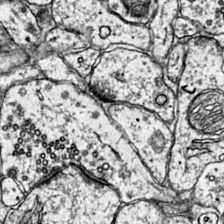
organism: Mouse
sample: Primary visual cortex